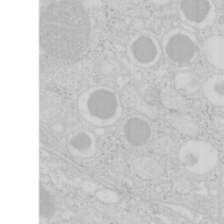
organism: Mouse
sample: Pancreas